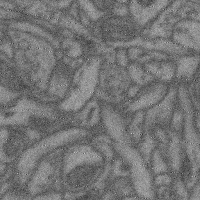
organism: Mouse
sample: Cerebral cortex